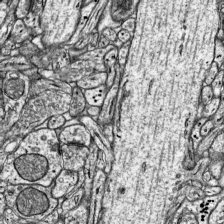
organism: Mouse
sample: Visual Cortex